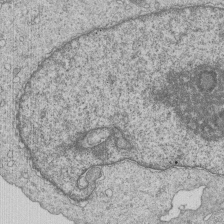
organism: Human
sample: MDA-MB-231 cells